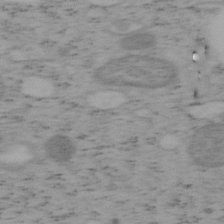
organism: Mouse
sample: OT-I killer T cells with ID8 ovarian cancer cells